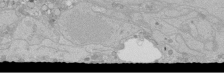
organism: Human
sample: Caco-2 cells